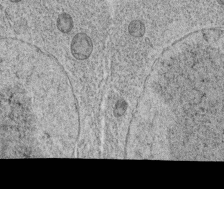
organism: C. elegans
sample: C. elegans oocyte; sperm cells